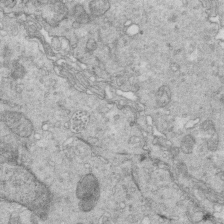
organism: Mouse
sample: Multiciliated cells